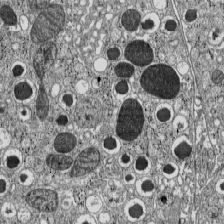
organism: C57BL Mouse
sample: Pancreatic islet